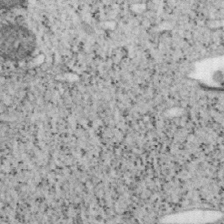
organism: Mouse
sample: OT-I killer T cells with ID8 ovarian cancer cells